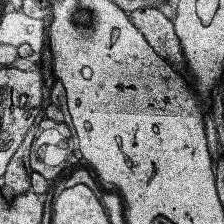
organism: Human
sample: Temporal Lobe